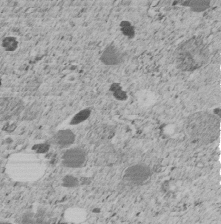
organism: C. elegans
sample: C. elegans embryo early stage